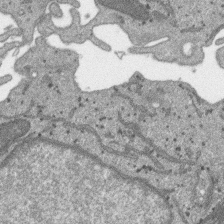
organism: Human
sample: Lung epithelial cells infected with SARS-CoV-2